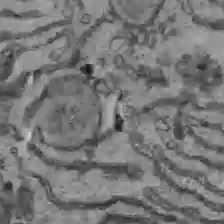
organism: C57BL Mouse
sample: Liver